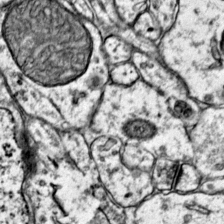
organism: Mouse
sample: Primary visual cortex